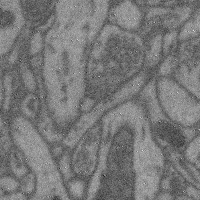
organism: Mouse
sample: Cerebral cortex